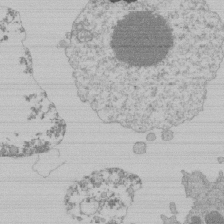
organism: Mouse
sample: Activated Pmel transgenic CD8+ T Cells